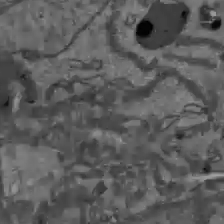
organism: C57BL Mouse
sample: Liver